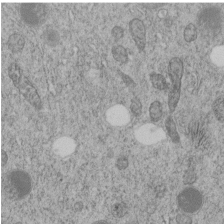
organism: C. elegans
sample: C. elegans embryo early stage